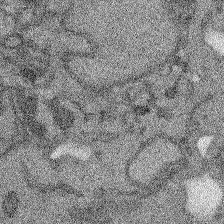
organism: Human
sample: HeLa cells